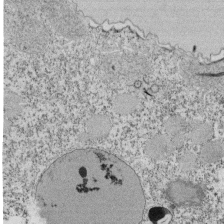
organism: Tetrahymena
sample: Cilia in tetrahymena